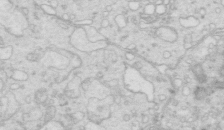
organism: Mouse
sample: Multiciliated cells